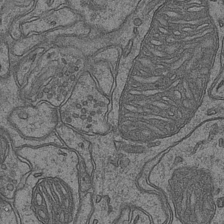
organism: Mouse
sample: CA1 Hippocampus